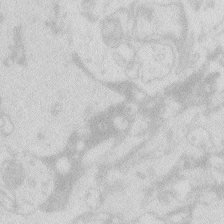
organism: Zebrafish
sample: Macrophage